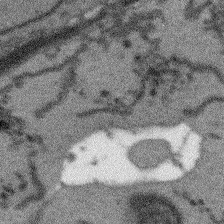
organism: Arabidopsis thaliana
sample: Root tip